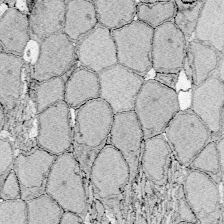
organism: Zebrafish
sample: Whole-Brain